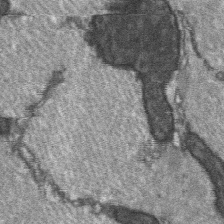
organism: C57BL Mouse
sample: Soleus